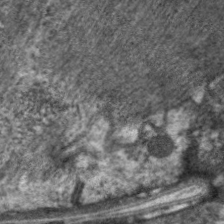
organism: C. elegans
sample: Pharynx